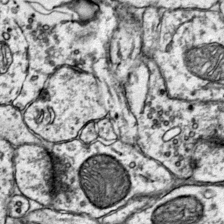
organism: Mouse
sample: Primary visual cortex